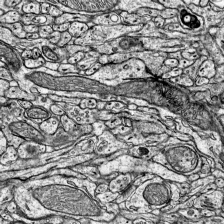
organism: Mouse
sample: Visual Cortex